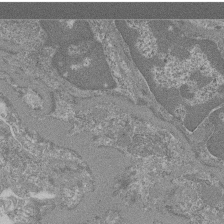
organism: Mouse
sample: Glomerulus